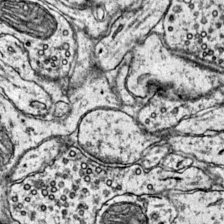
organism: Mouse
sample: Primary visual cortex